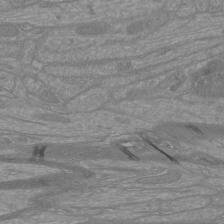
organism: Mouse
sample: Cortical neurons